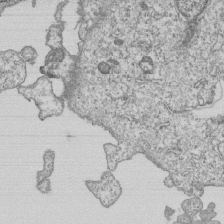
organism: Human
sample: MDA-MB-231 cells